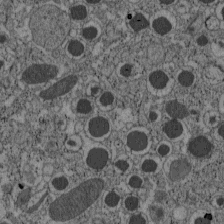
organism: C57BL Mouse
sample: Pancreatic islet